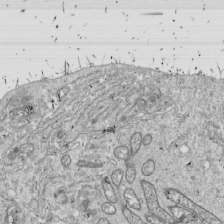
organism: Drosophila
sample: Cell division; meiosis; drosophila spermatocytes